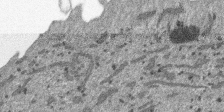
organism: Human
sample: Lung epithelial cells infected with SARS-CoV-2